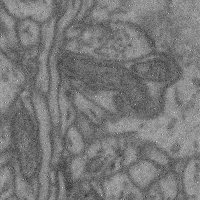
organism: Mouse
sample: Cerebral cortex